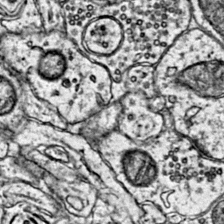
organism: Mouse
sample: Primary visual cortex